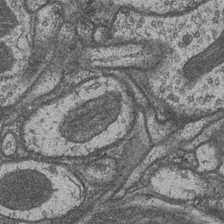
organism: Drosophila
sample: Optic medulla